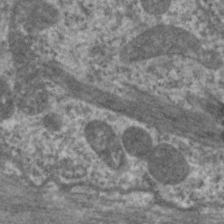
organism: C. elegans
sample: Pharynx